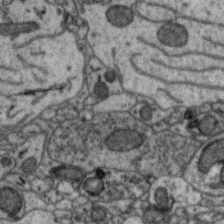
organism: Zebra finch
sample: Brain